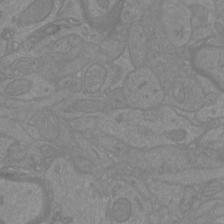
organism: Mouse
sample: Cortical neurons